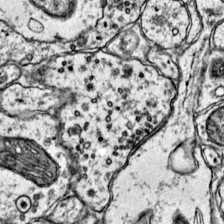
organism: Mouse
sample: Primary visual cortex